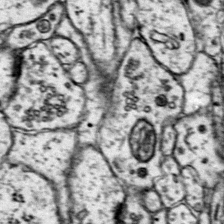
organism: Mouse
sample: Primary visual cortex